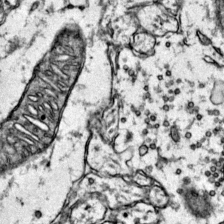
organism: Mouse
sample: Primary visual cortex